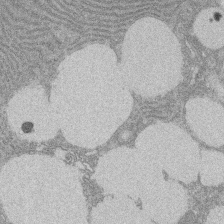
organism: Rat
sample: Salivary granule